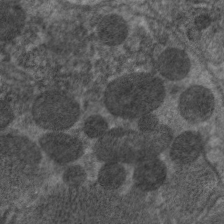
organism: C. elegans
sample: Pharynx